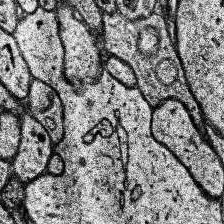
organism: Human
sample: Temporal Lobe